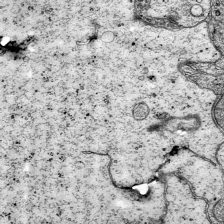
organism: Mouse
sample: Visual Cortex